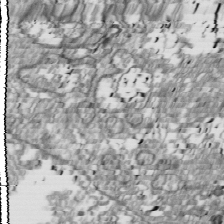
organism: Drosophila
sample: Cell division; meiosis; drosophila spermatocytes